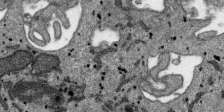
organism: Human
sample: Lung epithelial cells, uninfected (mock) control